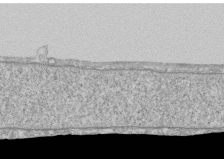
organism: Human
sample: CRL-1474